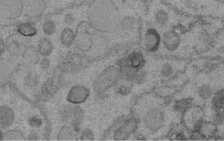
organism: C. elegans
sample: C. elegans embryo early stage